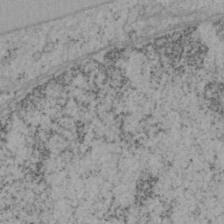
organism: Human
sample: HeLa cells